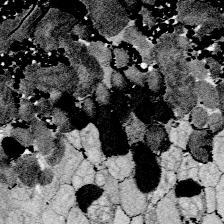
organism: Zebrafish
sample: Whole-Brain